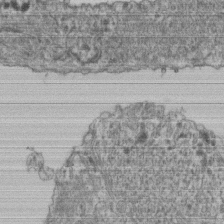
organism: Human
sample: Retinal organoid Rod and Cone cells